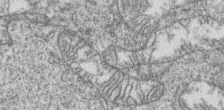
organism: Human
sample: HeLa cell HIV synapse